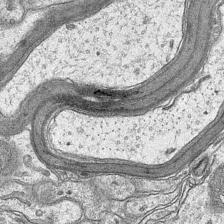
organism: Mouse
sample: CA1 Hippocampus